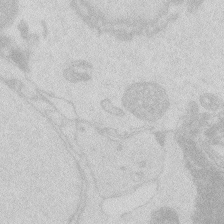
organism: Zebrafish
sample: Macrophage